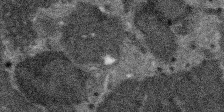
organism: Human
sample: Lung epithelial cells infected with SARS-CoV-2